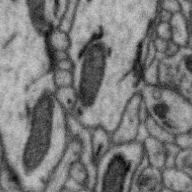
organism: Zebra finch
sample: Brain